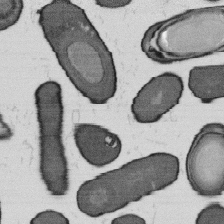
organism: B. subtilis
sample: Bacterial spore